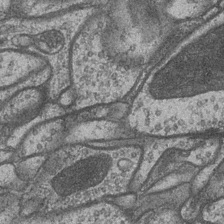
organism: Drosophila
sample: Optic medulla